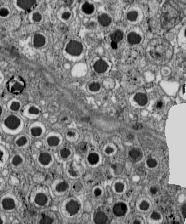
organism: C57BL Mouse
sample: Pancreatic islet